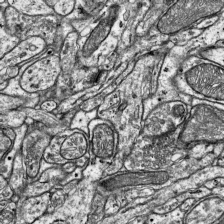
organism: Mouse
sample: Visual Cortex